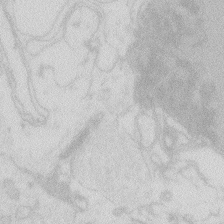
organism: Zebrafish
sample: Macrophage